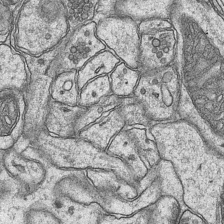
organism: Mouse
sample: CA1 Hippocampus